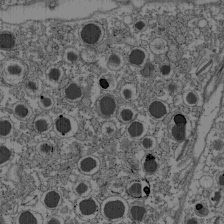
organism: C57BL Mouse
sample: Pancreatic islet